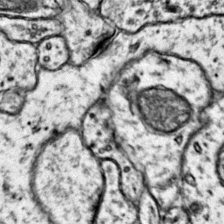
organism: Mouse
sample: Primary visual cortex